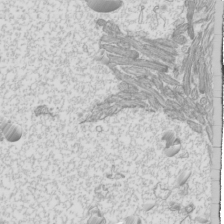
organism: Mouse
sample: Cilia; mouse epididymis